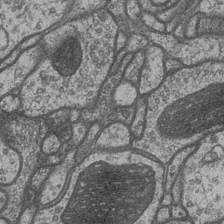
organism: Drosophila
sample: Optic medulla